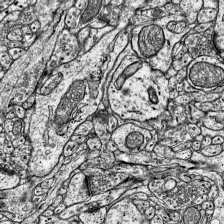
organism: Mouse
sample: Visual Cortex